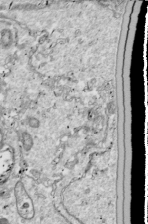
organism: Drosophila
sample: Cell division; meiosis; drosophila spermatocytes